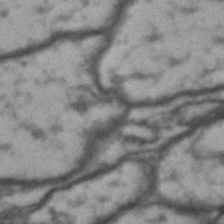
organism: Drosophila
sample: Brain